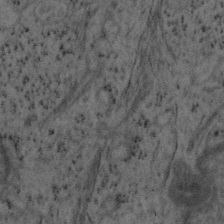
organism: Human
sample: HeLa cells